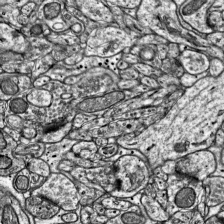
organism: Mouse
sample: Visual Cortex